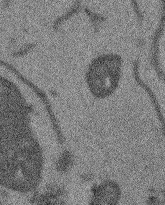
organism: Arabidopsis thaliana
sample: Root tip